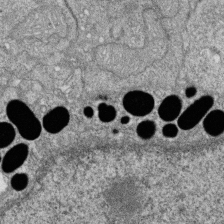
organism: Zebrafish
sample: Cilia; retinal pigment epithelium